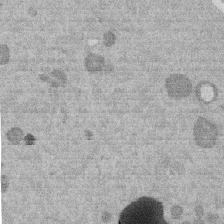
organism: Mouse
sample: Dividing mouse embryo 1 cell stage